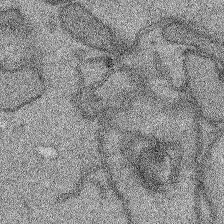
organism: Human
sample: HeLa cells